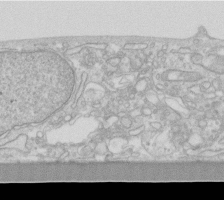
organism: Human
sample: Fibroblast cells